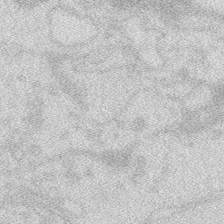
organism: Zebrafish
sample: Macrophage